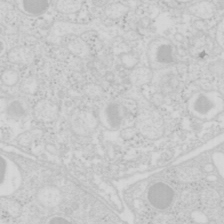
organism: Mouse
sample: Pancreas